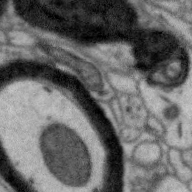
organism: Zebra finch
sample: Brain